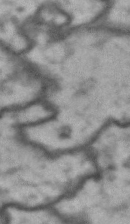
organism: Drosophila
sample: Brain